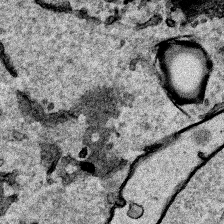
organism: Human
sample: Mitochondria in HCT116 cells